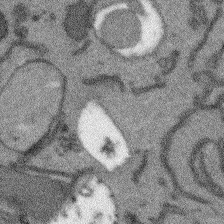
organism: Arabidopsis thaliana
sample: Root tip